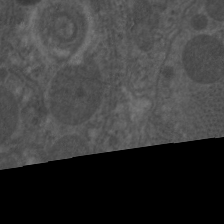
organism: C. elegans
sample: Pharynx